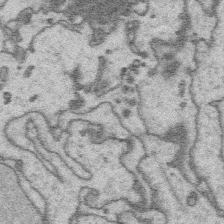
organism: Platynereis dumerilii